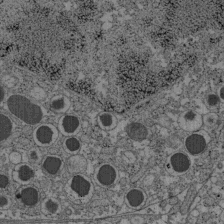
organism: C57BL Mouse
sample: Pancreatic islet